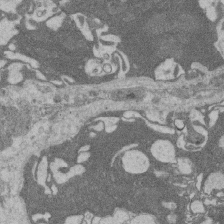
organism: Rat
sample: Salivary granule